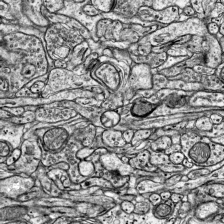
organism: Mouse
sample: Visual Cortex